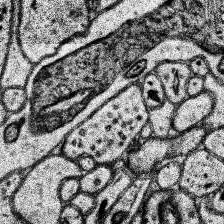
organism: Human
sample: Temporal Lobe